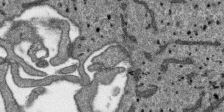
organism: Human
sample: Lung epithelial cells, uninfected (mock) control